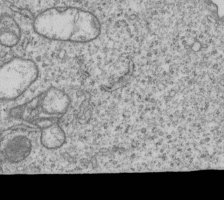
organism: Human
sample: MDA-MB-231 cells